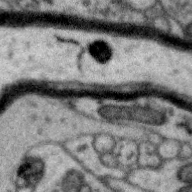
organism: Zebra finch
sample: Brain